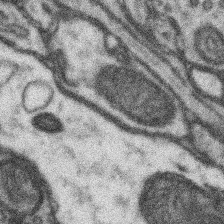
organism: Mouse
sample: Somatosensory cortex neuropil